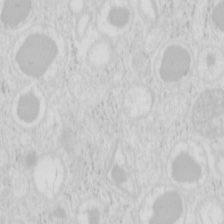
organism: Mouse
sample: Pancreas